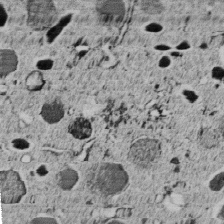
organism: C. elegans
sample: C. elegans embryo early stage